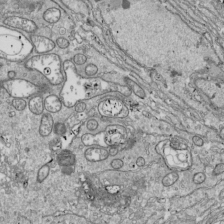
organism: Drosophila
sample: Cell division; meiosis; drosophila spermatocytes